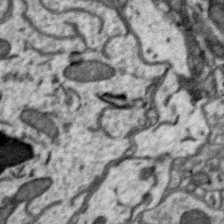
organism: Zebra finch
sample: Brain